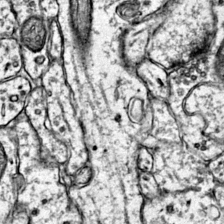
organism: Mouse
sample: Primary visual cortex